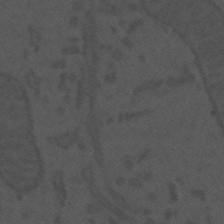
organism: Mouse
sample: Suprachiasmatic nucleus